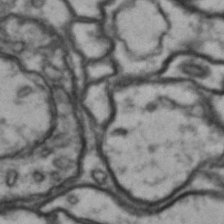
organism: Drosophila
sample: Brain